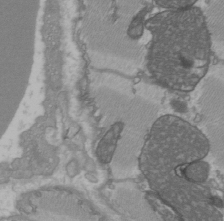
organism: C57BL Mouse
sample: Heart